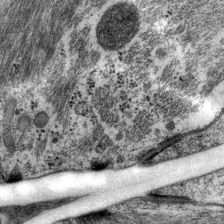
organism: P. pacificus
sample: Pharynx